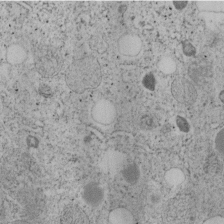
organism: C. elegans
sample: C. elegans embryo early stage